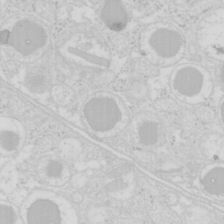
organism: Mouse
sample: Pancreas